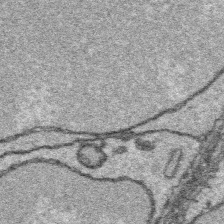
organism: Platynereis dumerilii